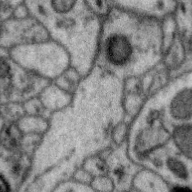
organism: Zebra finch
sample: Brain